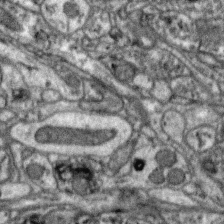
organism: Zebra finch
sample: Brain